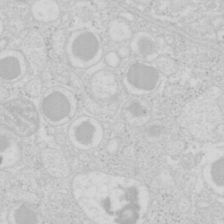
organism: Mouse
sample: Pancreas